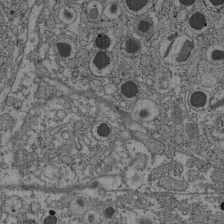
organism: C57BL Mouse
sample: Pancreatic islet